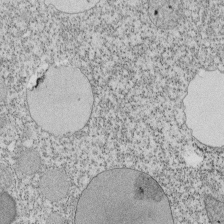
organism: Tetrahymena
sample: Cilia in tetrahymena